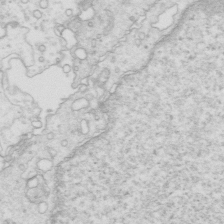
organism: Mouse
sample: Multiciliated cells